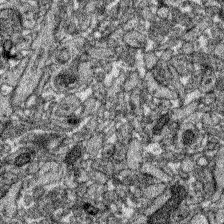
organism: Zebrafish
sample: Larval olfactory bulb